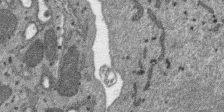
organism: Human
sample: Lung epithelial cells infected with SARS-CoV-2